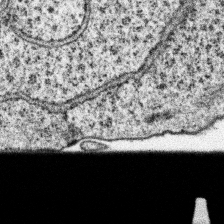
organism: Human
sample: HeLa cells